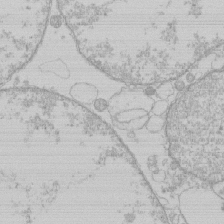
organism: Human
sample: Macrophage cells